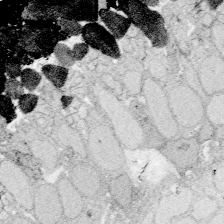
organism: Zebrafish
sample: Whole-Brain